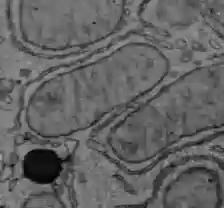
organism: C57BL Mouse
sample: Liver